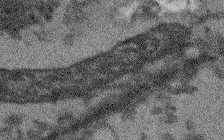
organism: Arabidopsis thaliana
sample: Root tip